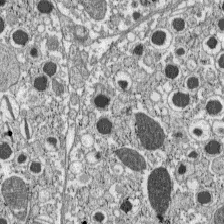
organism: C57BL Mouse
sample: Pancreatic islet